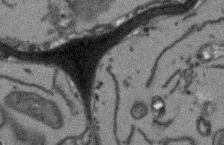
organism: Arabidopsis thaliana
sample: Root tip